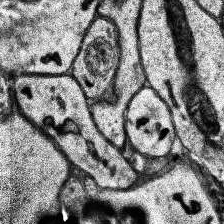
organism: Human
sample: Temporal Lobe